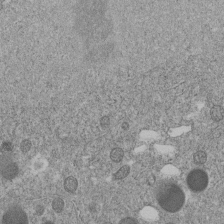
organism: C. elegans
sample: C. elegans embryo early stage